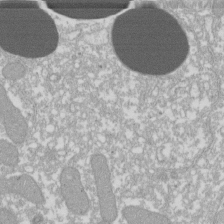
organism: Xenopus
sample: Cilia; centrioles in frog embryo cells